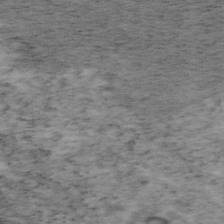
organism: Mouse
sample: OT-I killer T cells with ID8 ovarian cancer cells